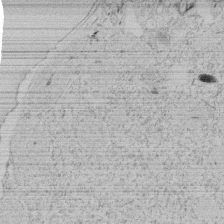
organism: Tetrahymena